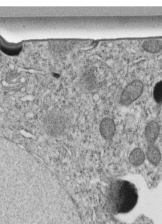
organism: C. elegans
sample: C. elegans embryo early stage